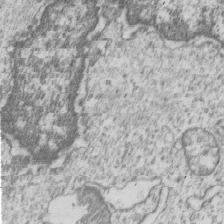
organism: Human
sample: MDA-MB-231 cells